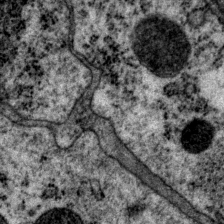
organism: P. pacificus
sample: Pharynx